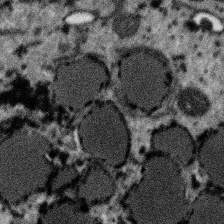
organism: Human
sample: Lung epithelial cells infected with SARS-CoV-2